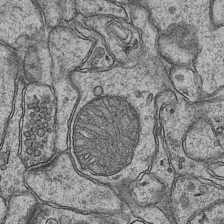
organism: Mouse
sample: CA1 Hippocampus